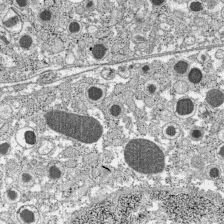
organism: C57BL Mouse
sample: Pancreatic islet